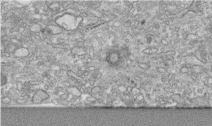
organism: Human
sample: Centriole in RPE cells